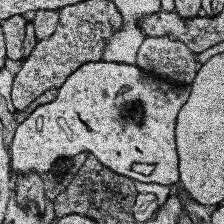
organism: Human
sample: Temporal Lobe